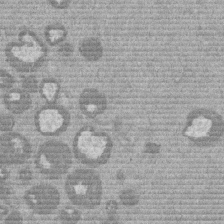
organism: Mouse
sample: Dividing mouse embryo 1 cell stage